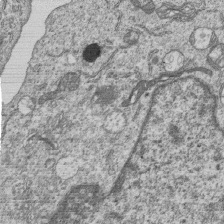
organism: Human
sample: MDA-MB-231 cells